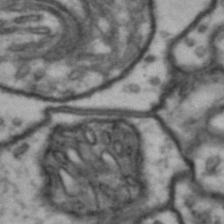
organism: Drosophila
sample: Brain